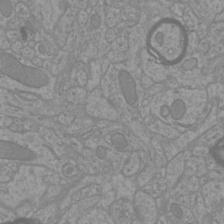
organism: Mouse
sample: Cortical neurons